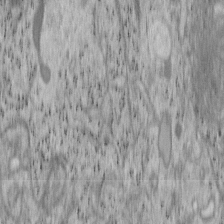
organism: Human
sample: HeLa cells